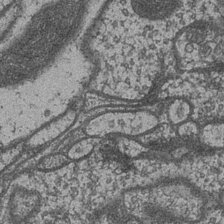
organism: Drosophila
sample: Optic medulla